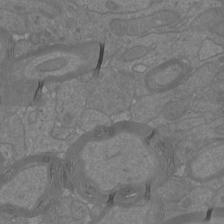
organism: Mouse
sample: Cortical neurons